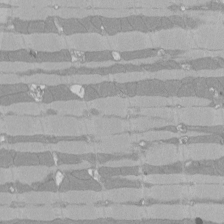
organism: Rat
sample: Left ventricle